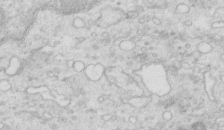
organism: Mouse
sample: Multiciliated cells